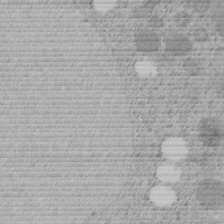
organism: C. elegans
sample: C. elegans embryo early stage